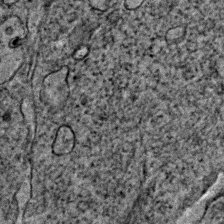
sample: Trachea